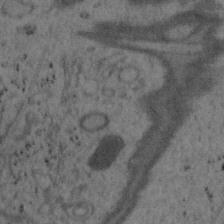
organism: Human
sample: HeLa cells